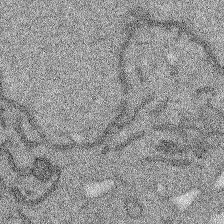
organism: Human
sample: HeLa cells